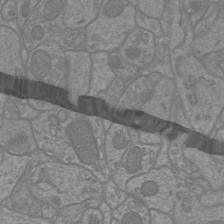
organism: Mouse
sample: Cortical neurons